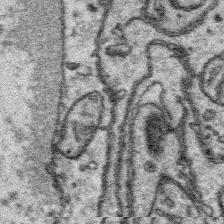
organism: Platynereis dumerilii